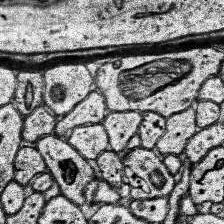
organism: Human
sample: Temporal Lobe